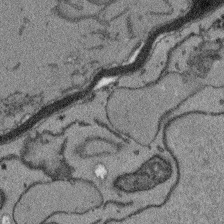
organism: Arabidopsis thaliana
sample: Root tip